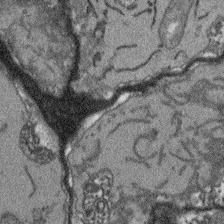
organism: Arabidopsis thaliana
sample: Root tip